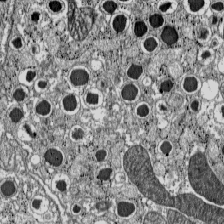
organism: C57BL Mouse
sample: Pancreatic islet